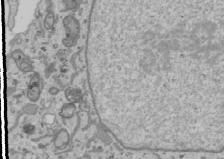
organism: Human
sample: Mitochondria in U2OS cells